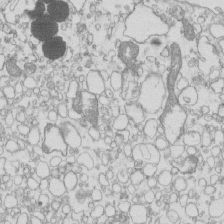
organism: Mouse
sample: Macrophages